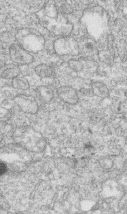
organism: Human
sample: HeLa cell HIV synapse